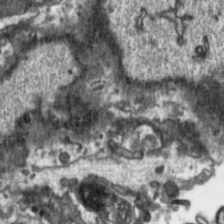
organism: Toxoplasma gondii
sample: Parasites in a vacuole inside a host cell